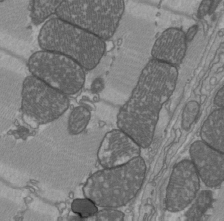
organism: C57BL Mouse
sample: Heart